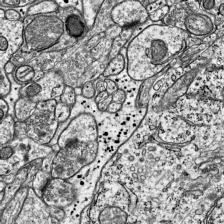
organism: Mouse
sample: Visual Cortex